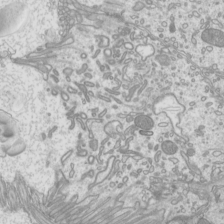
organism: Mouse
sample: Cilia; mouse epididymis